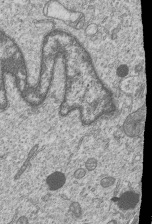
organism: Human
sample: MDA-MB-231 cells